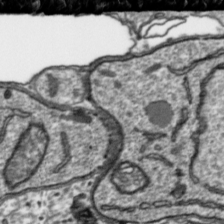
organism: Toxoplasma gondii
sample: Parasites in a vacuole inside a host cell